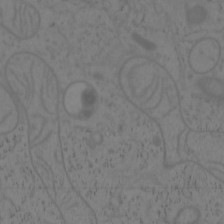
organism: Human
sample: HeLa cells